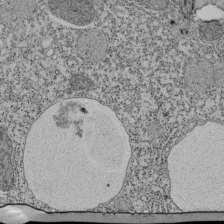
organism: Tetrahymena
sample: Cilia in tetrahymena